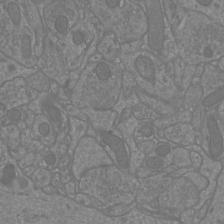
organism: Mouse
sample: Cortical neurons